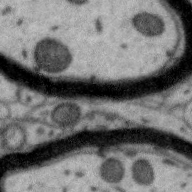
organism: Zebra finch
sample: Brain